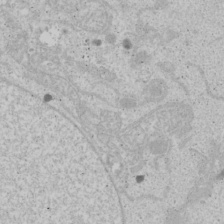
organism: Human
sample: Mitochondria in U2OS cells